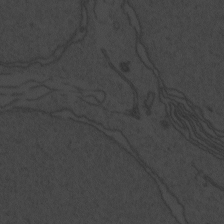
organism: Zebrafish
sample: Macrophage infected with Toxoplasma gondii